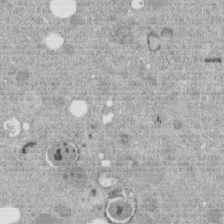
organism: C. elegans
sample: C. elegans embryo early stage